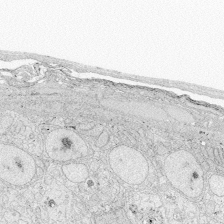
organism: Zebrafish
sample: Whole-Brain